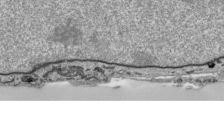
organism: Human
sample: Mitochondria in HCT116 cells